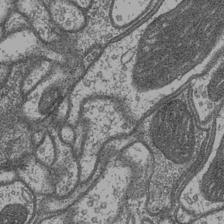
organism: Drosophila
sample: Optic medulla